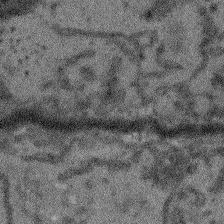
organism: Arabidopsis thaliana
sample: Root tip